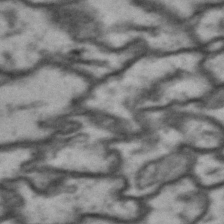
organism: Drosophila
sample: Brain